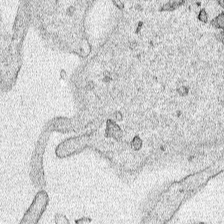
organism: Human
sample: Mitochondria in HCT116 cells